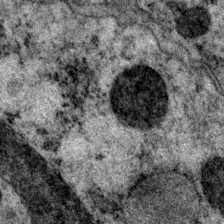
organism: P. pacificus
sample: Pharynx